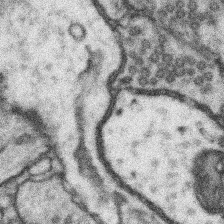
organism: Mouse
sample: Somatosensory cortex neuropil